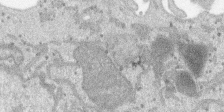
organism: Human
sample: Lung epithelial cells infected with SARS-CoV-2